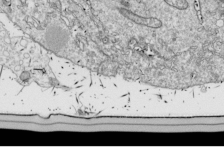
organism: Drosophila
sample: Cell division; meiosis; drosophila spermatocytes